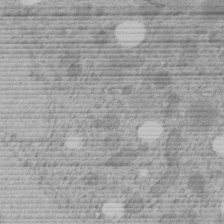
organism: C. elegans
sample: C. elegans embryo early stage